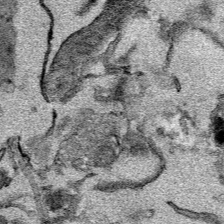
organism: Mouse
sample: Cancer cell death in ED-1 cells